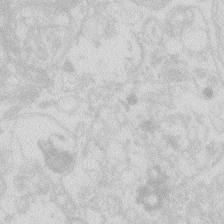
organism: Zebrafish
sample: Macrophage